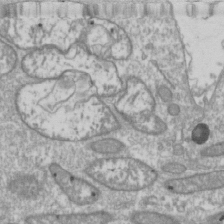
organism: Drosophila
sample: Cell division; meiosis; drosophila spermatocytes